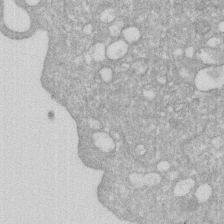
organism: Human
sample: HIV infected U937 cells